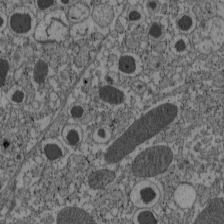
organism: C57BL Mouse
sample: Pancreatic islet